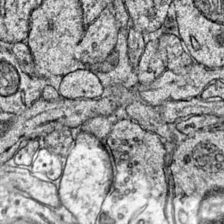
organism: Mouse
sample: Primary visual cortex